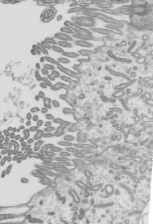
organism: Mouse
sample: Mouse epididymis efferent ductule cilia